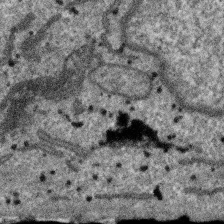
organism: Human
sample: Lung epithelial cells infected with SARS-CoV-2